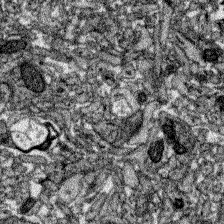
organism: Zebrafish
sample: Larval olfactory bulb